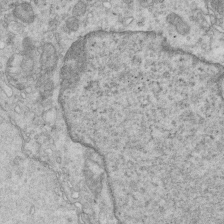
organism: Mouse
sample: Multiciliated cells